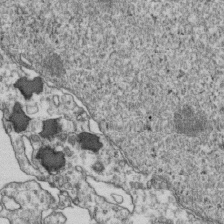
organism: Human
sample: Activated Jurkat CD4+ T cells